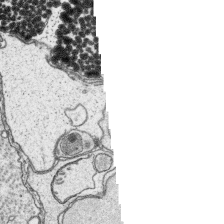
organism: Platynereis dumerilii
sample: Parapodia